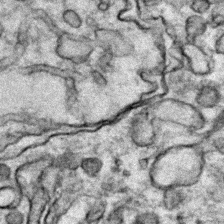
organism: Zebrafish